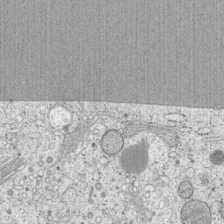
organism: African green monkey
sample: COS-7 cells